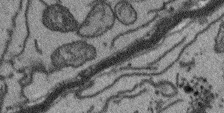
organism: Arabidopsis thaliana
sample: Root tip